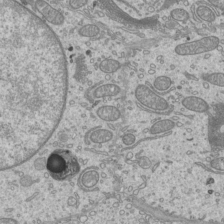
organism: Mouse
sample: Cilia; mouse epididymis